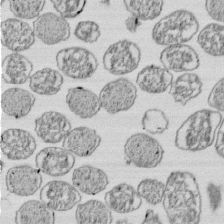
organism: E. coli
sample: Bacterial nucleoid